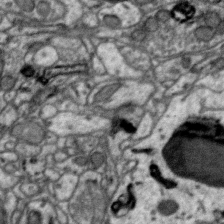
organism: Zebra finch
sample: Brain